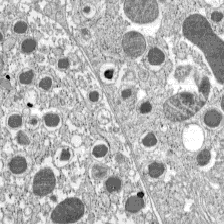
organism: C57BL Mouse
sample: Pancreatic islet